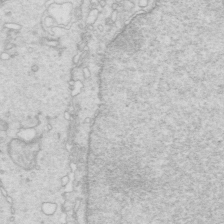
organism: Mouse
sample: Multiciliated cells